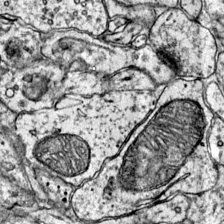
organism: Mouse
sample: Primary visual cortex